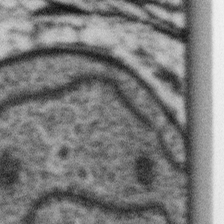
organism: Gemmata obscuriglobus